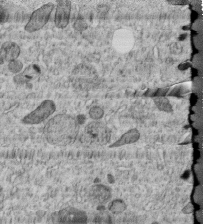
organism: C. elegans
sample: C. elegans embryo early stage